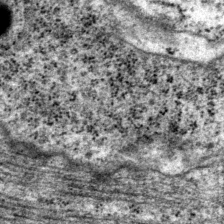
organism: P. pacificus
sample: Pharynx